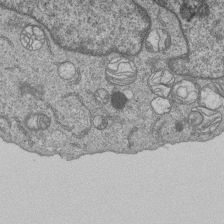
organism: Human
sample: MDA-MB-231 cells